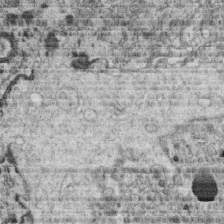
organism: C. elegans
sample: C. elegans oocyte; sperm cells